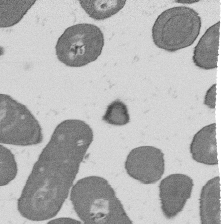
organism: B. subtilis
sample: Bacterial spore